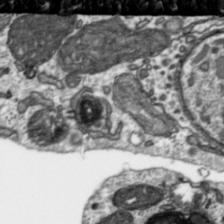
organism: Toxoplasma gondii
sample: Parasites in a vacuole inside a host cell